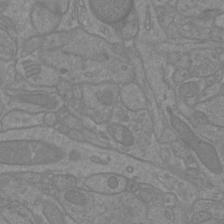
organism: Mouse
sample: Cortical neurons